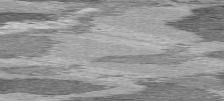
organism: C57BL Mouse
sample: Heart